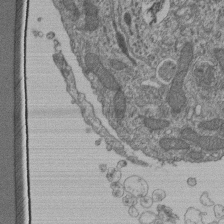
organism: Human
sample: Retinal organoid Rod and Cone cells